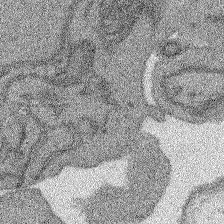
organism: Human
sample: HeLa cells